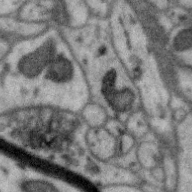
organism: Zebra finch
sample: Brain